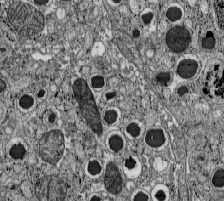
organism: C57BL Mouse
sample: Pancreatic islet